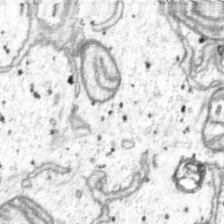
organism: Human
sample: HeLa cells